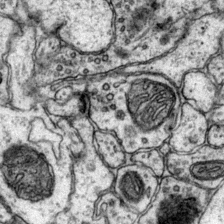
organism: Mouse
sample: Primary visual cortex